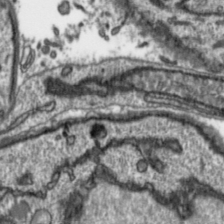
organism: Toxoplasma gondii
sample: Parasites in a vacuole inside a host cell